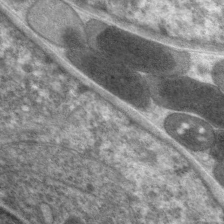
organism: C. elegans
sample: Pharynx